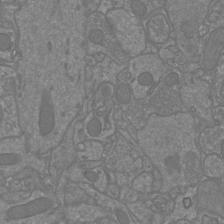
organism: Mouse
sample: Cortical neurons